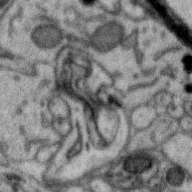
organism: Zebra finch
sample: Brain